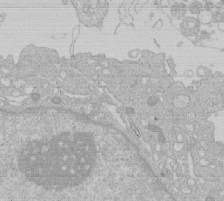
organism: Human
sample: Macrophage cells